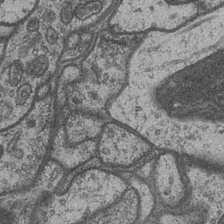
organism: Drosophila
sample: Optic medulla